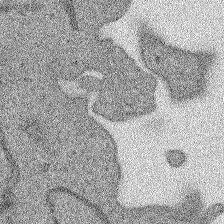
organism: Human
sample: HeLa cells